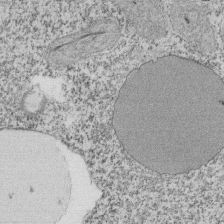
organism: Tetrahymena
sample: Cilia in tetrahymena